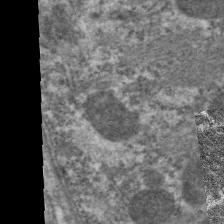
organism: C. elegans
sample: Pharynx